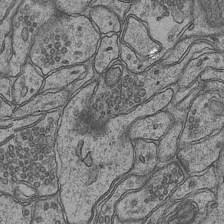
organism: Mouse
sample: CA1 Hippocampus